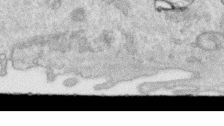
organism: Human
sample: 1205lu cells